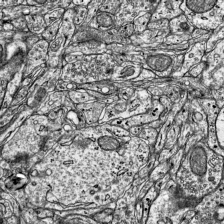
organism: Mouse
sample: Visual Cortex